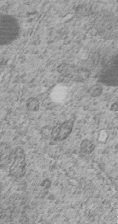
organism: C. elegans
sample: C. elegans embryo early stage